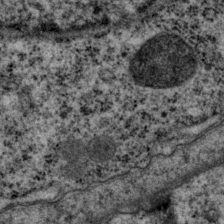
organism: P. pacificus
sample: Pharynx